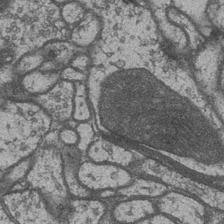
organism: Drosophila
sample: Optic medulla